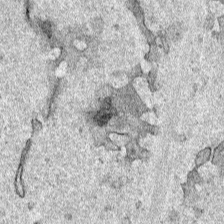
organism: Human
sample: Mitochondria in HCT116 cells